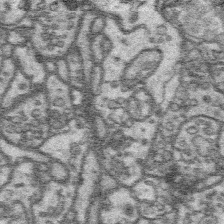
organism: Platynereis dumerilii